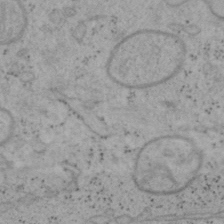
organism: Human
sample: HeLa cells